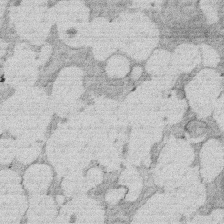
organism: Rat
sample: Salivary granule